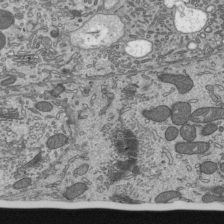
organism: Mouse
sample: Mouse epididymis efferent ductule cilia